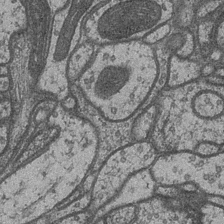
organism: Drosophila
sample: Optic medulla